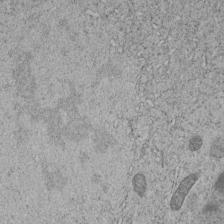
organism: C. elegans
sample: C. elegans embryo early stage